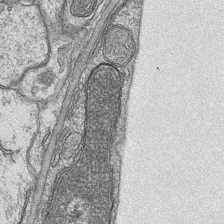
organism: Mouse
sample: CA1 Hippocampus